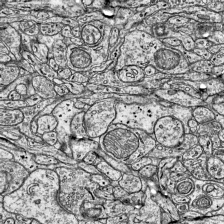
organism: Mouse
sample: Visual Cortex